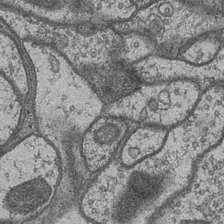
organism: Drosophila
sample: Optic medulla